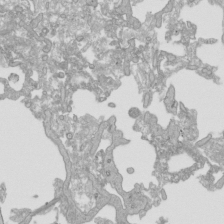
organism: Human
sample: Mitochondria in HCT116 cells